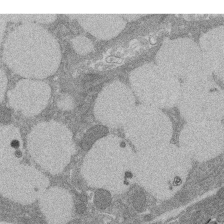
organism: Rat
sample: Salivary granule